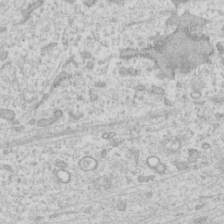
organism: Human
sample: Fibroblast cells